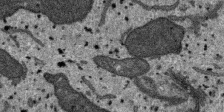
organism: Human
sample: Lung epithelial cells, uninfected (mock) control